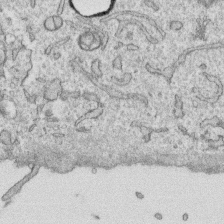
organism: Human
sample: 1205lu cells